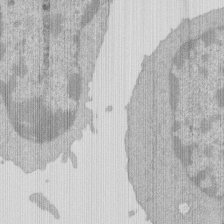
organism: Mouse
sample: Activated Pmel transgenic CD8+ T Cells